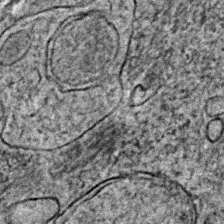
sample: Trachea